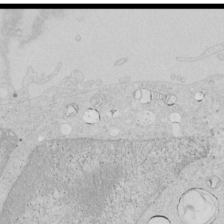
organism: Human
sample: Mitochondria in HCT116 cells